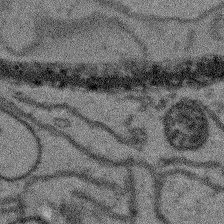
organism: Arabidopsis thaliana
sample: Root tip